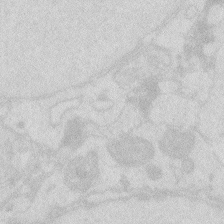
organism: Zebrafish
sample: Macrophage